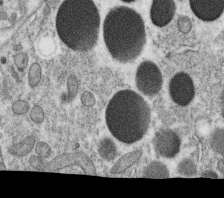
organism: C. elegans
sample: C. elegans oocyte; sperm cells